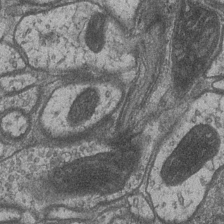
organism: Drosophila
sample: Optic medulla